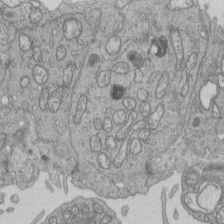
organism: Human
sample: Retinal organoid Rod and Cone cells